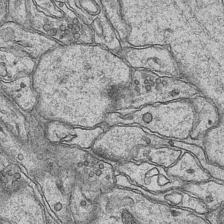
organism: Mouse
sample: CA1 Hippocampus